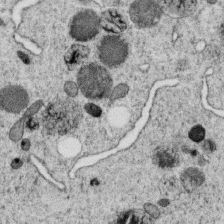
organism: C. elegans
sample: C. elegans oocyte; sperm cells